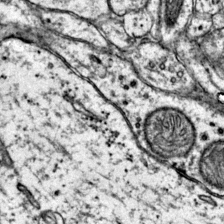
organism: Mouse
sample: Primary visual cortex